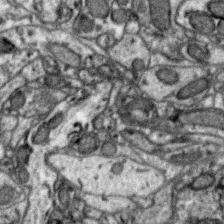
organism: Zebra finch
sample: Brain